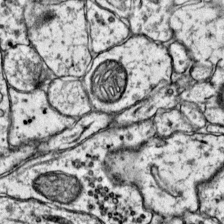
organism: Mouse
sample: Primary visual cortex